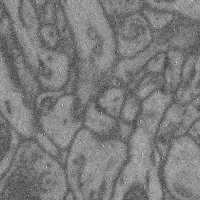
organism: Mouse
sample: Cerebral cortex